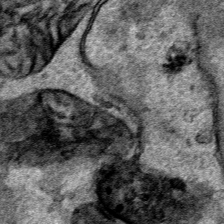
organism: Human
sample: Mitochondria in HCT116 cells